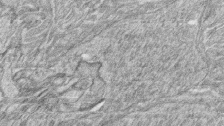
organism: Zebrafish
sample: synaptic ribbons in rod cells and cone cells